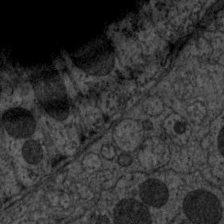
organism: C. elegans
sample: Pharynx